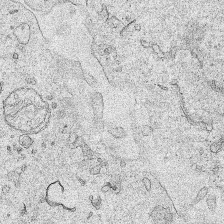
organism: Human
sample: Mitochondria in HCT116 cells